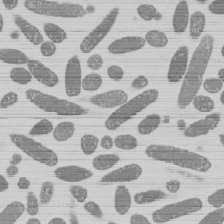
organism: E. coli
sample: Bacterial nucleoid